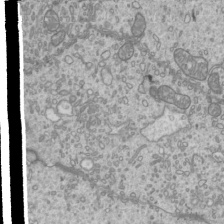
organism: Mouse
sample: Cilia; mouse epididymis